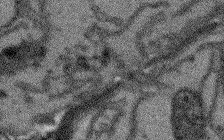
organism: Arabidopsis thaliana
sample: Root tip